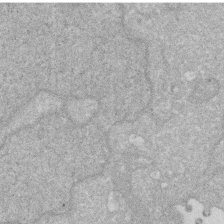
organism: Human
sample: HIV infected U937 cells